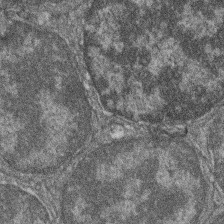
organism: Zebrafish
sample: Cilia; retinal pigment epithelium